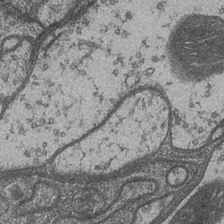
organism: Drosophila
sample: Optic medulla